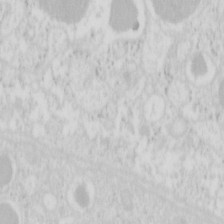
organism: Mouse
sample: Pancreas